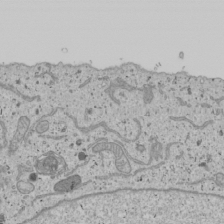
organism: Human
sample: Mitochondria in U2OS cells